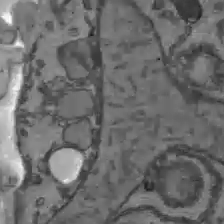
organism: C57BL Mouse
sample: Liver